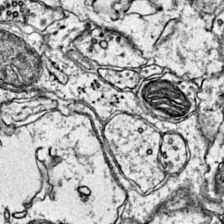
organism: Mouse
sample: Primary visual cortex